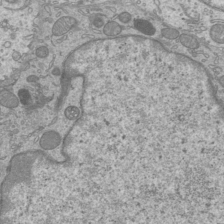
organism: Mouse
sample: Cilia; mouse epididymis